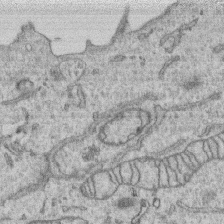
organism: Human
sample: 1205lu cells